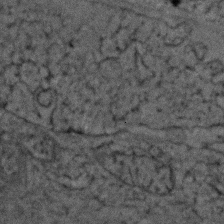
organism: Zebrafish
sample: Zebrafish embryo